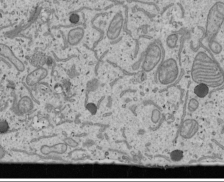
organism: Human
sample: Mitochondria in U2OS cells